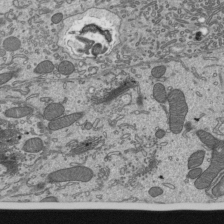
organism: Mouse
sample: Mouse epididymis efferent ductule cilia